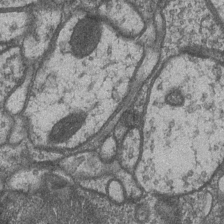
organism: Drosophila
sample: Optic medulla